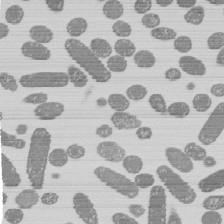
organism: E. coli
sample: Bacterial nucleoid